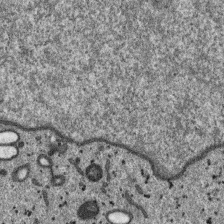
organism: Human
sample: Lung epithelial cells infected with SARS-CoV-2